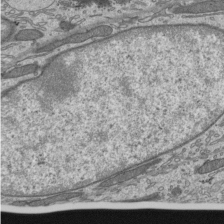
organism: Mouse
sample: Mouse epididymis efferent ductule cilia